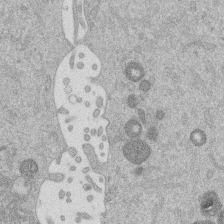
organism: Mouse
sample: Dividing mouse embryo 1 cell stage